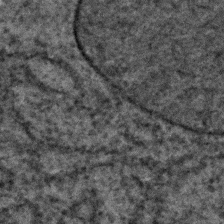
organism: C. elegans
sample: C. elegans embryo